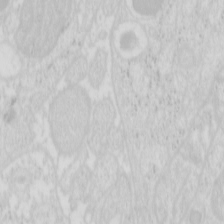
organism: Mouse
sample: Pancreas